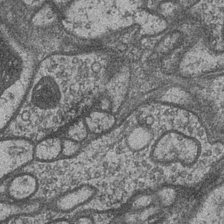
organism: Drosophila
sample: Optic medulla